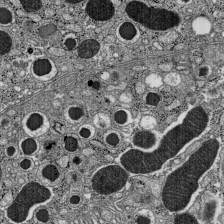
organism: C57BL Mouse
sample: Pancreatic islet